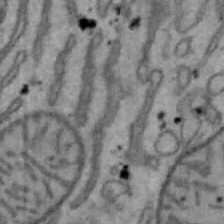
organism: Mouse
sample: Liver